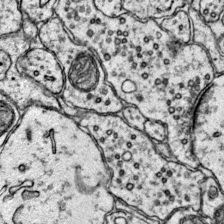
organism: Mouse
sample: Primary visual cortex